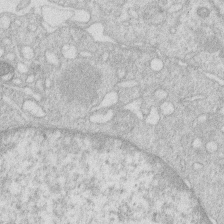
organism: Human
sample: Macrophage cells